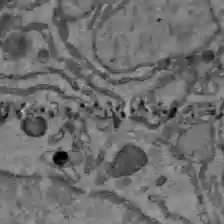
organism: C57BL Mouse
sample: Liver